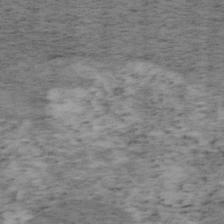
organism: Mouse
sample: OT-I killer T cells with ID8 ovarian cancer cells